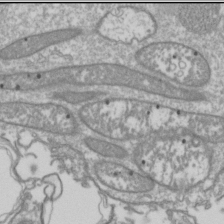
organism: Drosophila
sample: Cell division; meiosis; drosophila spermatocytes